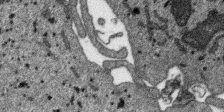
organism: Human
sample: Lung epithelial cells infected with SARS-CoV-2